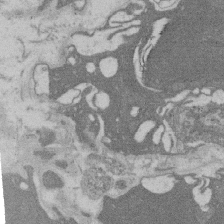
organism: Rat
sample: Salivary granule